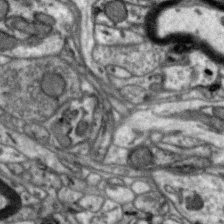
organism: Zebra finch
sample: Brain